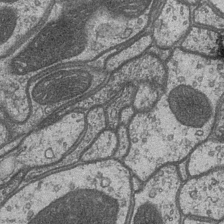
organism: Drosophila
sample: Optic medulla